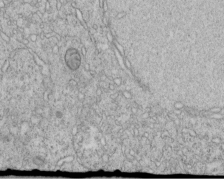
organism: C. elegans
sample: C. elegans embryo early stage